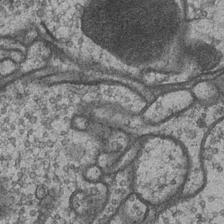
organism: Drosophila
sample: Optic medulla